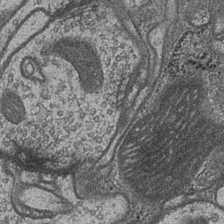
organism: Drosophila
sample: Optic medulla